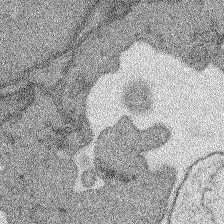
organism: Human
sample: HeLa cells